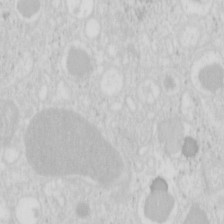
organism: Mouse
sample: Pancreas